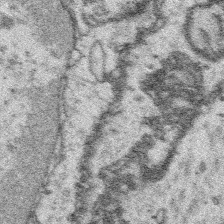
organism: Platynereis dumerilii